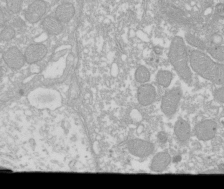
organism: Xenopus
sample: Cilia; centrioles in frog embryo cells